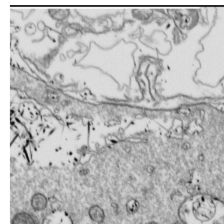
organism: Drosophila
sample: Cell division; meiosis; drosophila spermatocytes